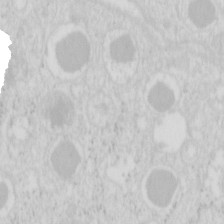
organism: Mouse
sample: Pancreas